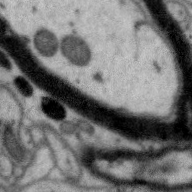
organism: Zebra finch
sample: Brain